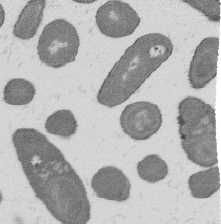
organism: B. subtilis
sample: Bacterial spore